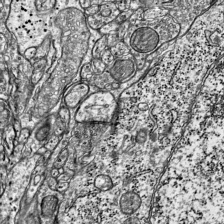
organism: Mouse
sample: Visual Cortex